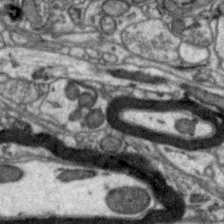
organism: Zebra finch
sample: Brain